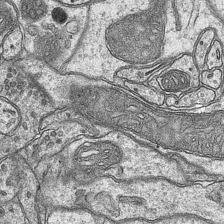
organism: Mouse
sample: CA1 Hippocampus